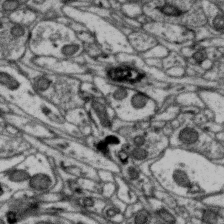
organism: Zebra finch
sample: Brain